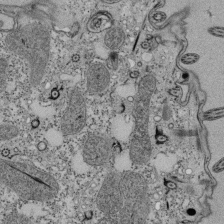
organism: Tetrahymena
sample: Cilia in tetrahymena